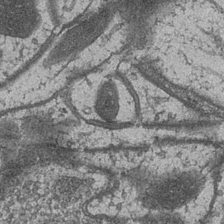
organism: Drosophila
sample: Optic medulla